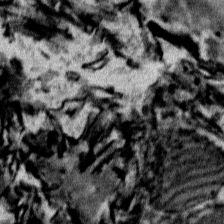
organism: Mouse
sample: Mouse Salivary gland